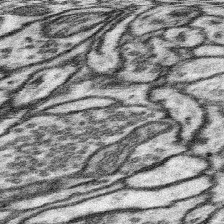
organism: Mouse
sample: Somatosensory cortex neuropil